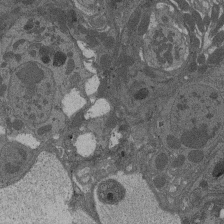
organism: Drosophila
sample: Antenna